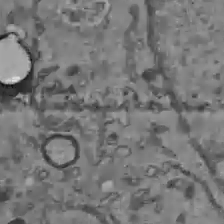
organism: C57BL Mouse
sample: Liver